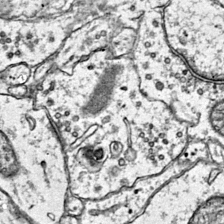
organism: Mouse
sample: Primary visual cortex